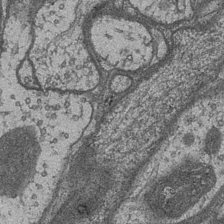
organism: Drosophila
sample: Optic medulla